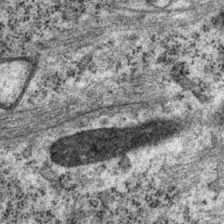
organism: P. pacificus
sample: Pharynx